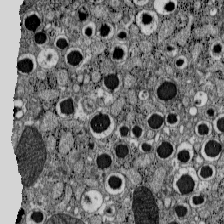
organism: C57BL Mouse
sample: Pancreatic islet